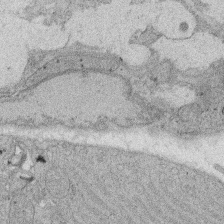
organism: Rat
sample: Salivary granule